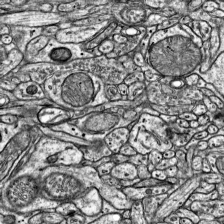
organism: Mouse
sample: Visual Cortex